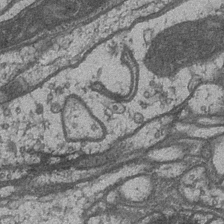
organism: Drosophila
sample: Optic medulla